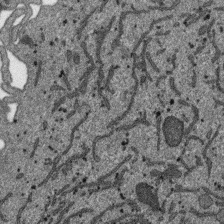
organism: Human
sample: Lung epithelial cells infected with SARS-CoV-2